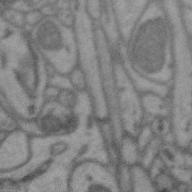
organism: Zebra finch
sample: Brain